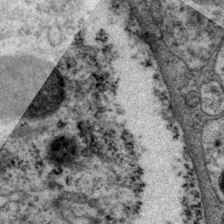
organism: P. pacificus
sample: Pharynx